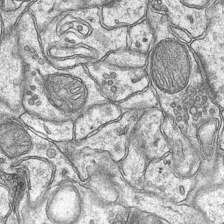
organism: Mouse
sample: CA1 Hippocampus